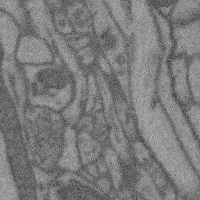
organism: Mouse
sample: Cerebral cortex